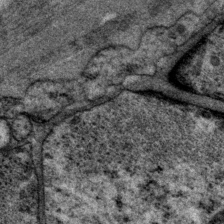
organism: P. pacificus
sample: Pharynx